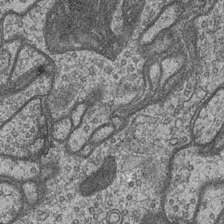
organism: Drosophila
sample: Optic medulla